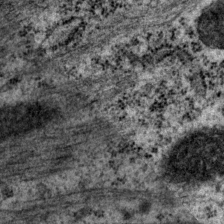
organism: P. pacificus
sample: Pharynx